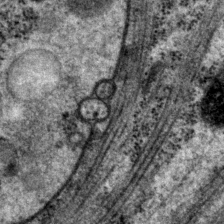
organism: P. pacificus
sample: Pharynx